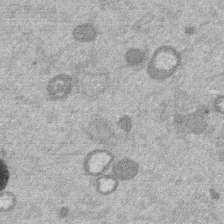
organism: Mouse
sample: Dividing mouse embryo 1 cell stage